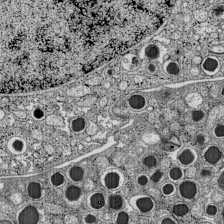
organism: C57BL Mouse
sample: Pancreatic islet